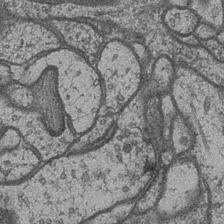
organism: Drosophila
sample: Optic medulla